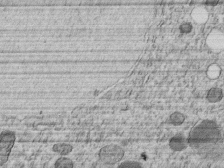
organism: C. elegans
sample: C. elegans embryo early stage